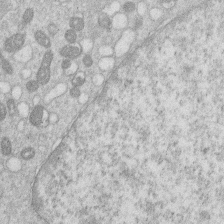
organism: Human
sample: Macrophage cells